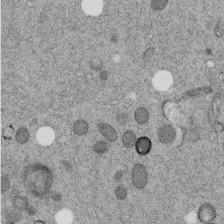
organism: C. elegans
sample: C. elegans embryo early stage